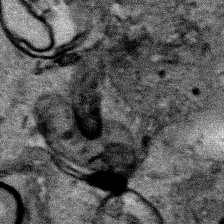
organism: Human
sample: Mitochondria in HCT116 cells